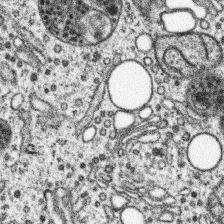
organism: Human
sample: HeLa cells